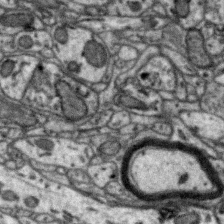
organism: Zebra finch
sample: Brain